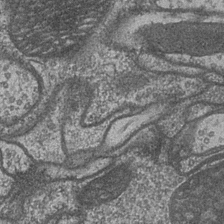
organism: Drosophila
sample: Optic medulla